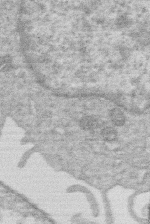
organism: Human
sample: Macrophage cells